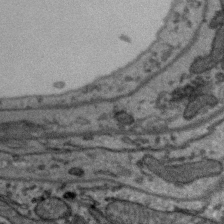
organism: Zebra finch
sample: Brain